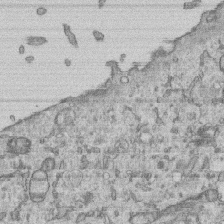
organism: Human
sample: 1205lu cells